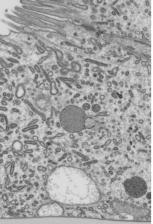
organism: Mouse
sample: Mouse epididymis efferent ductule cilia